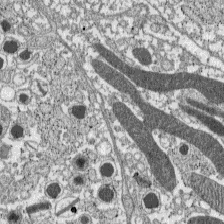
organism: C57BL Mouse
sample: Pancreatic islet